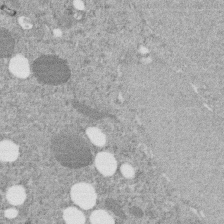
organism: C. elegans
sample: C. elegans embryo early stage